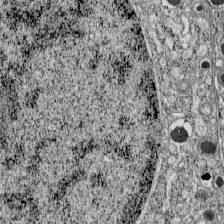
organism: C57BL Mouse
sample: Pancreatic islet